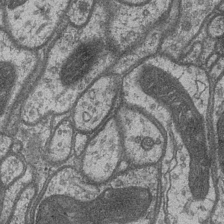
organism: Drosophila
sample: Optic medulla